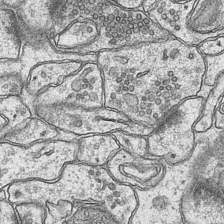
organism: Mouse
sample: CA1 Hippocampus